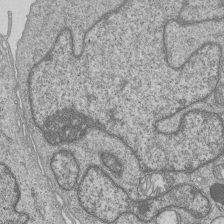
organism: Human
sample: MDA-MB-231 cells